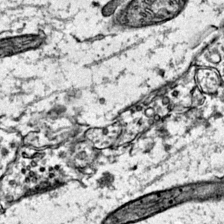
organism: Mouse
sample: Primary visual cortex